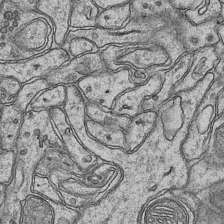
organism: Mouse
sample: CA1 Hippocampus